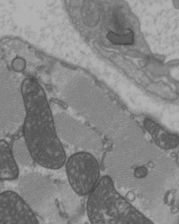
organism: C57BL Mouse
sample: Heart